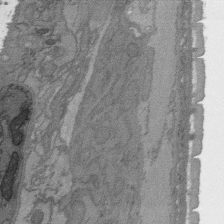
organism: C. elegans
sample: AFD neurons C. elegans